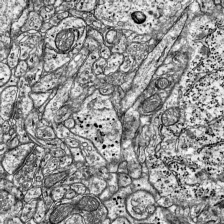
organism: Mouse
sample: Visual Cortex